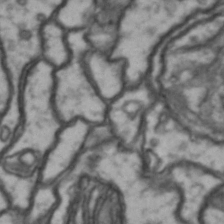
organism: Drosophila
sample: Brain